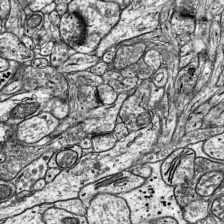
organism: Mouse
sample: Visual Cortex